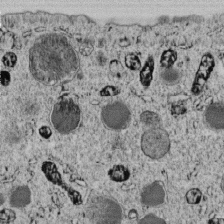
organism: C. elegans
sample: C. elegans embryo early stage